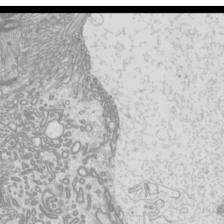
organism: Mouse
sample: Cilia; mouse epididymis